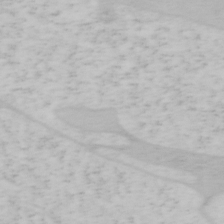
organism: Mouse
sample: OT-I killer T cells with ID8 ovarian cancer cells